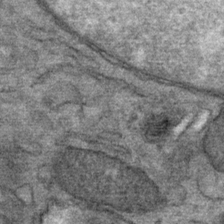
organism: Mouse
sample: Mouse Salivary gland